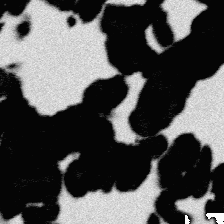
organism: Platynereis dumerilii